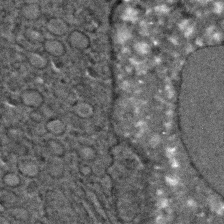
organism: C. elegans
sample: C. elegans embryo